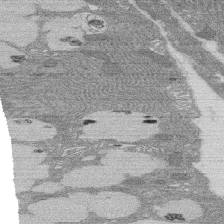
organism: Rat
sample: Salivary granule